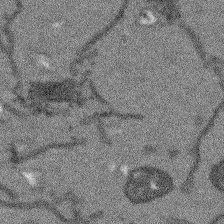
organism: Arabidopsis thaliana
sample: Root tip